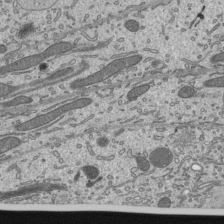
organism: Mouse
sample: Mouse epididymis efferent ductule cilia